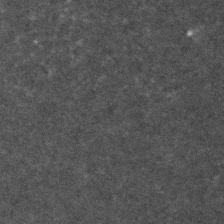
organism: Zebrafish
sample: Zebrafish embryo